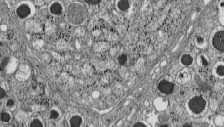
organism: C57BL Mouse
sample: Pancreatic islet